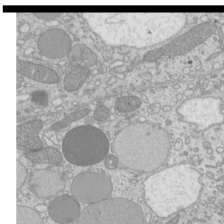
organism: Mouse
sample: Cilia; mouse epididymis